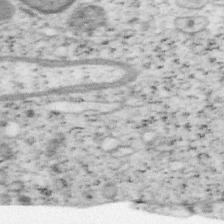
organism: Mouse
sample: OT-I killer T cells with ID8 ovarian cancer cells